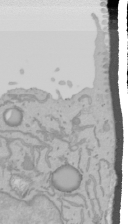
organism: Mouse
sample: Cancer cell death in ED-1 cells